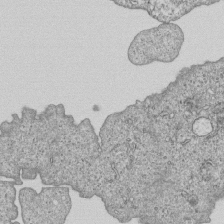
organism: Human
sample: MDA-MB-231 cells